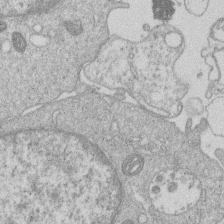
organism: Human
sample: Macrophage cells